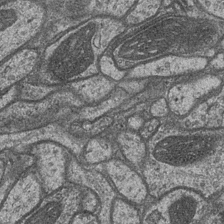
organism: Drosophila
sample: Optic medulla